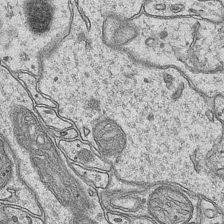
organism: Mouse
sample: CA1 Hippocampus